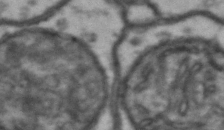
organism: Drosophila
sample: Brain